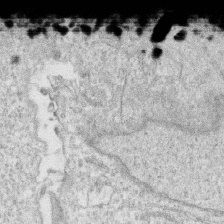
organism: Human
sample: HeLa cell HIV synapse